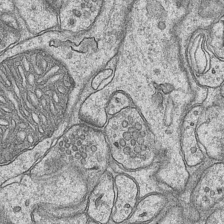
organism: Mouse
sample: CA1 Hippocampus